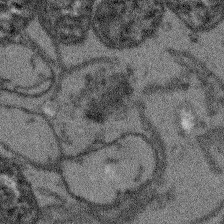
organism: Arabidopsis thaliana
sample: Root tip